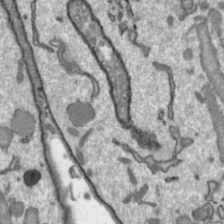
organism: Toxoplasma gondii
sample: Parasites in a vacuole inside a host cell